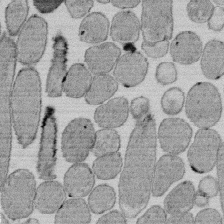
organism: E. coli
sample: Bacterial nucleoid